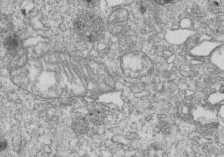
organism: Human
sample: HeLa cell HIV synapse